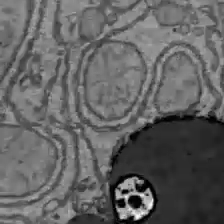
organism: C57BL Mouse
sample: Liver